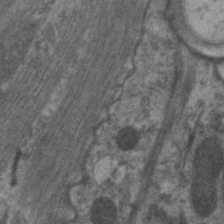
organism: C. elegans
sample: Pharynx